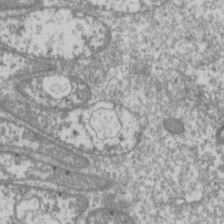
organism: Drosophila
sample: Cell division; meiosis; drosophila spermatocytes